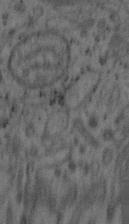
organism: Human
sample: HeLa cells